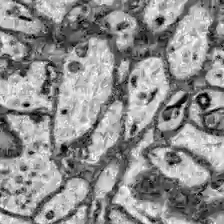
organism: Zebrafish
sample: Brain